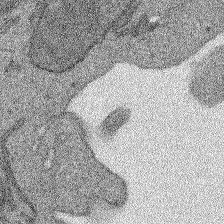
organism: Human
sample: HeLa cells